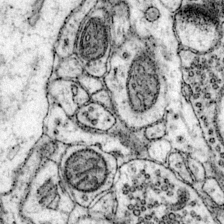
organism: Mouse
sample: Primary visual cortex